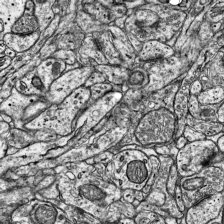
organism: Mouse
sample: Visual Cortex